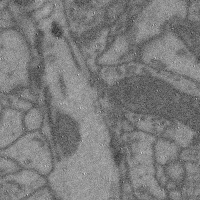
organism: Mouse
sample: Cerebral cortex